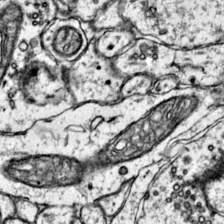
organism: Mouse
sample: Primary visual cortex